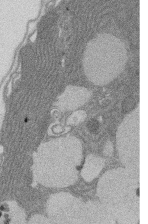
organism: Rat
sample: Salivary granule